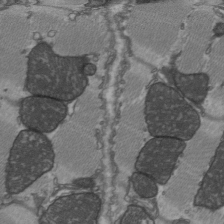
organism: C57BL Mouse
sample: Heart